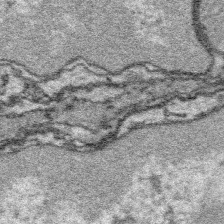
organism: Platynereis dumerilii